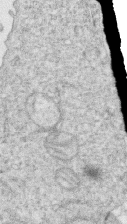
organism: Human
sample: HeLa cell HIV synapse